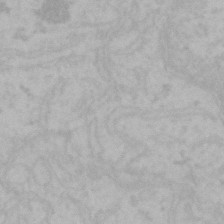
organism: Mouse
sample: Choroid plexus